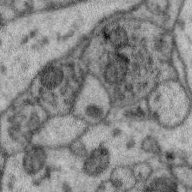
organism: Zebra finch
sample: Brain